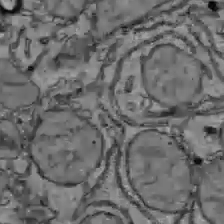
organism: C57BL Mouse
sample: Liver